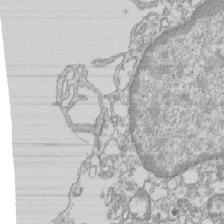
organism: Mouse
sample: Macrophages